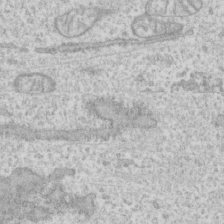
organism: Human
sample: CRL-1474